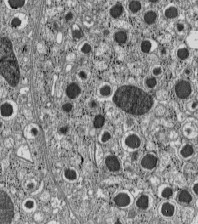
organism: C57BL Mouse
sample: Pancreatic islet